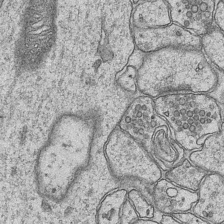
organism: Mouse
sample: CA1 Hippocampus